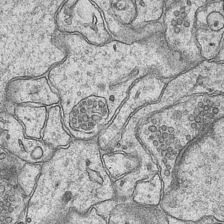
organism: Mouse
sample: CA1 Hippocampus